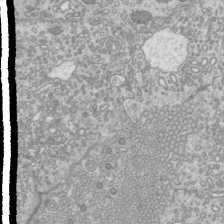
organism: Mouse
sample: Cilia; mouse epididymis